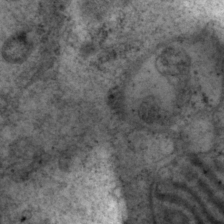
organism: P. pacificus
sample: Pharynx